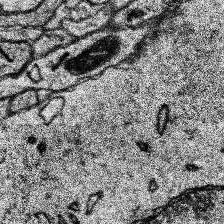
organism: Human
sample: Temporal Lobe